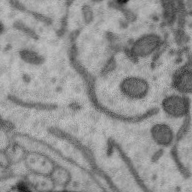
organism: Zebra finch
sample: Brain